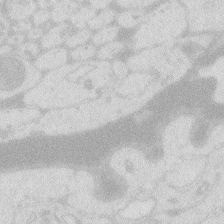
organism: Zebrafish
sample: Macrophage